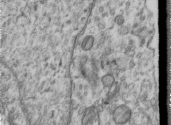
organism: Human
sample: Centriole in RPE cells